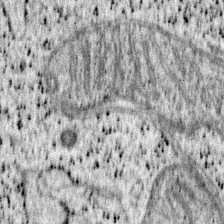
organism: Human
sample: HeLa cells